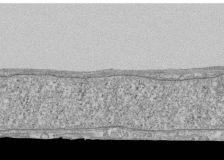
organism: Human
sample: Fibroblast cells